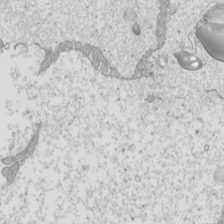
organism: Mouse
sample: Cilia; mouse epididymis